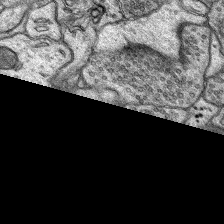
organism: Rat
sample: Hippocampus